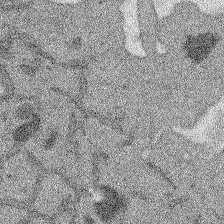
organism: Human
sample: HeLa cells